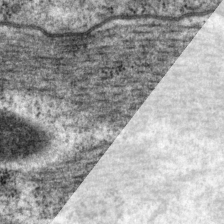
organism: P. pacificus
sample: Pharynx